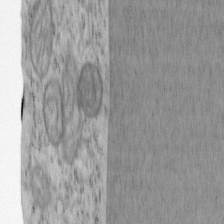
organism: Human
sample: HeLa cells